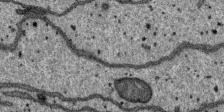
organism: Human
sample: Lung epithelial cells, uninfected (mock) control